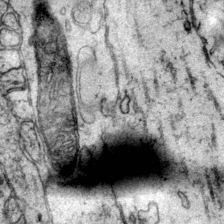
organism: Mouse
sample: Primary visual cortex